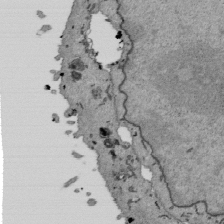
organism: Mouse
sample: ED-1 cell nuclei; centrioles